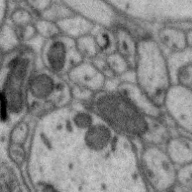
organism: Zebra finch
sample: Brain